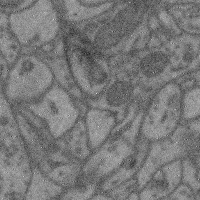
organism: Mouse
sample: Cerebral cortex